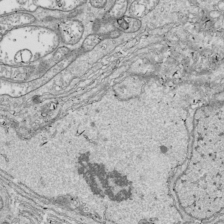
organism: Drosophila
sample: Cell division; meiosis; drosophila spermatocytes